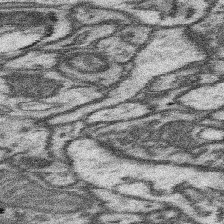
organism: Mouse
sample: Somatosensory cortex neuropil